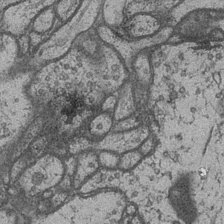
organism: Drosophila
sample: Optic medulla